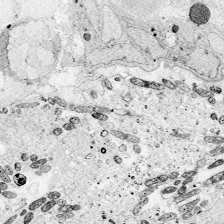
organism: Zebrafish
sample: Whole-Brain